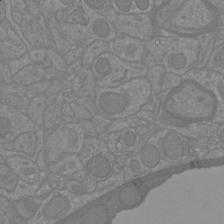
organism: Mouse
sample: Cortical neurons